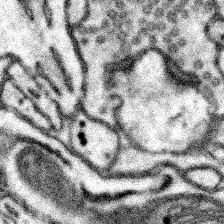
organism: Mouse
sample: Somatosensory cortex neuropil